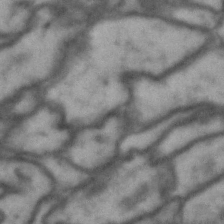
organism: Drosophila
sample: Brain